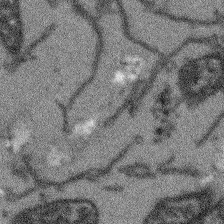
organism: Arabidopsis thaliana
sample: Root tip